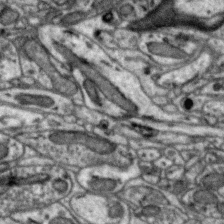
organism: Zebra finch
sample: Brain